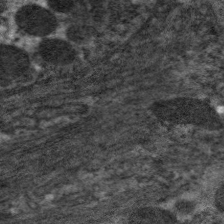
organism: C. elegans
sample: Pharynx